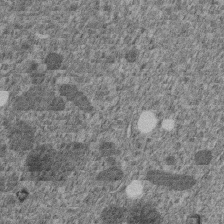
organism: C. elegans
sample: C. elegans embryo early stage